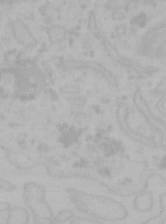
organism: Mouse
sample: Choroid plexus